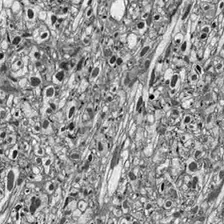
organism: Drosophila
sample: Optic lobe